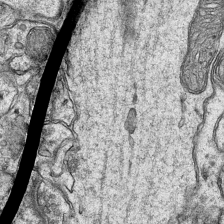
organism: Mouse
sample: CA1 Hippocampus